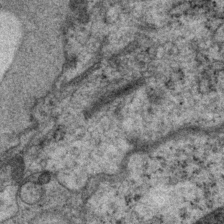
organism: P. pacificus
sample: Pharynx